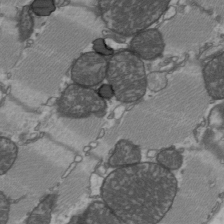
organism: C57BL Mouse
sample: Heart